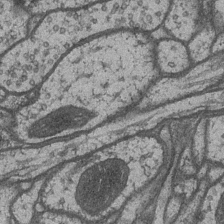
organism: Drosophila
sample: Optic medulla